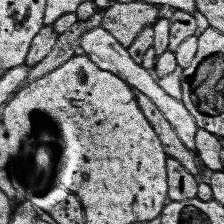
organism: Human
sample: Temporal Lobe